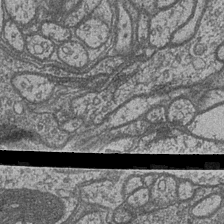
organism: Drosophila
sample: Optic medulla